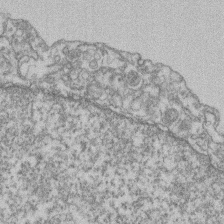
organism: Mouse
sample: T cell stromal cell synapse